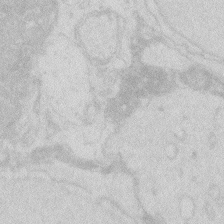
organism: Zebrafish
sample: Macrophage